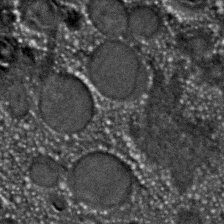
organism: C. elegans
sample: C. elegans embryo